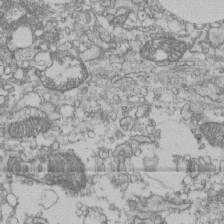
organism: Human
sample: Fibroblast cells